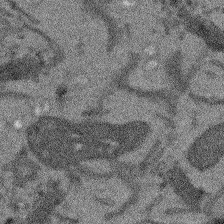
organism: Arabidopsis thaliana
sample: Root tip